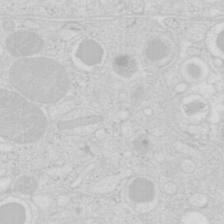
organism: Mouse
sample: Pancreas